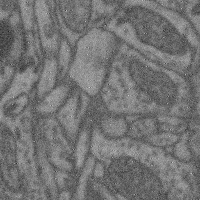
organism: Mouse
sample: Cerebral cortex